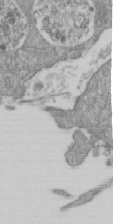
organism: Mouse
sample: ED-1 cell nuclei; centrioles